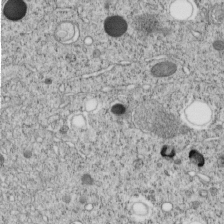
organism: C. elegans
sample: C. elegans embryo early stage